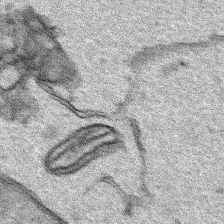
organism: Human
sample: Mitochondria in HCT116 cells